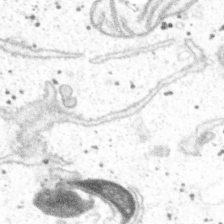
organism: Human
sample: HeLa cells